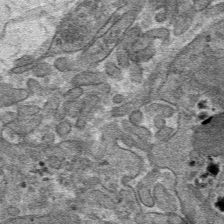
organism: Mouse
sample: Mouse hepatocytes